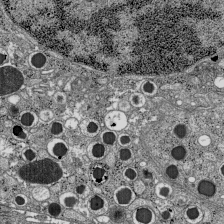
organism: C57BL Mouse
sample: Pancreatic islet